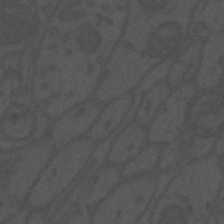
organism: Mouse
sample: Suprachiasmatic nucleus